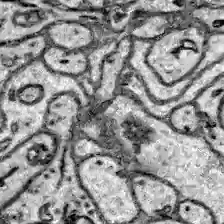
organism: Zebrafish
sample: Brain